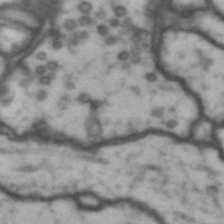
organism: Drosophila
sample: Brain